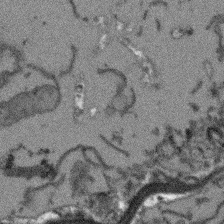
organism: Arabidopsis thaliana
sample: Root tip